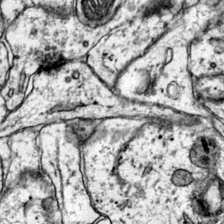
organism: Mouse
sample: Primary visual cortex